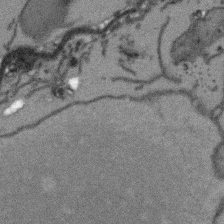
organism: Arabidopsis thaliana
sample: Root tip